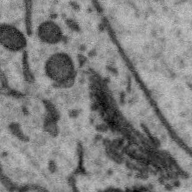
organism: Zebra finch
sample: Brain